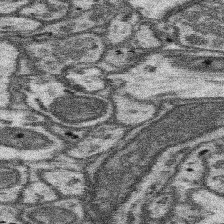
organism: Mouse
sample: Somatosensory cortex neuropil